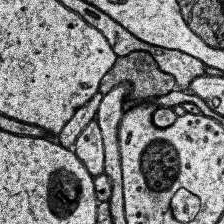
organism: Human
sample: Temporal Lobe